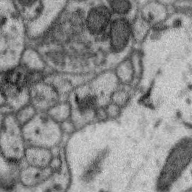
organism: Zebra finch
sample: Brain